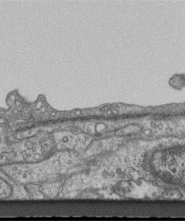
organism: Mouse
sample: Centriole in ependymal cells